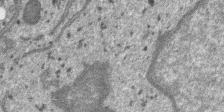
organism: Human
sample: Lung epithelial cells infected with SARS-CoV-2